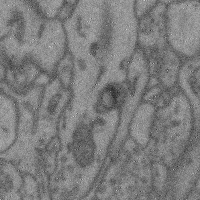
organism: Mouse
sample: Cerebral cortex